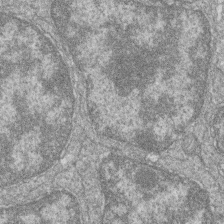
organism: Zebrafish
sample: Cilia; retinal pigment epithelium